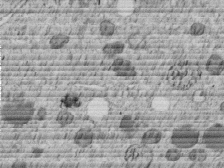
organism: C. elegans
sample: C. elegans embryo early stage